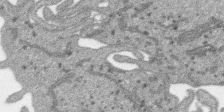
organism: Human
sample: Lung epithelial cells infected with SARS-CoV-2